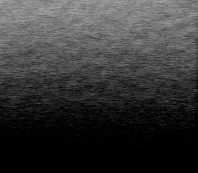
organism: Human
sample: HeLa cells